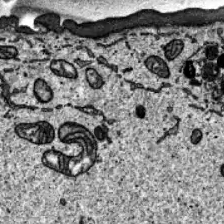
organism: Human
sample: HeLa cells